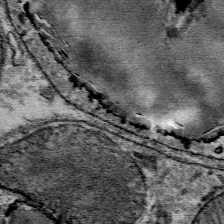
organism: Mouse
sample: Mouse Salivary gland